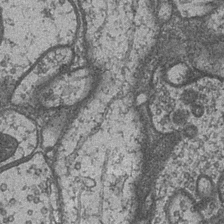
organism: Drosophila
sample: Optic medulla